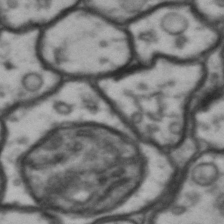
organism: Drosophila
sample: Brain